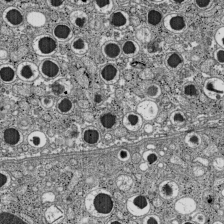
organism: C57BL Mouse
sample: Pancreatic islet